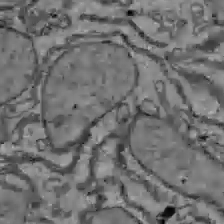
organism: C57BL Mouse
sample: Liver